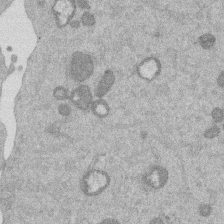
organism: Mouse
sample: Dividing mouse embryo 1 cell stage